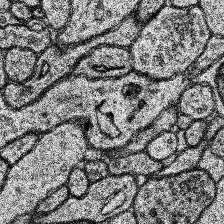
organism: Human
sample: Temporal Lobe